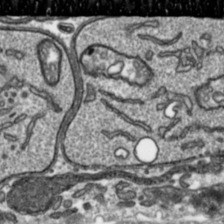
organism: Toxoplasma gondii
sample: Parasites in a vacuole inside a host cell